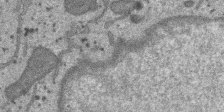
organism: Human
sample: Lung epithelial cells infected with SARS-CoV-2